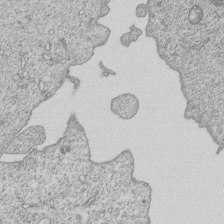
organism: Human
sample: MDA-MB-231 cells